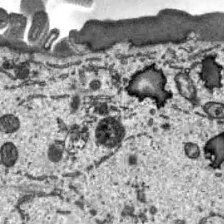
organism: Human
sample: HeLa cells